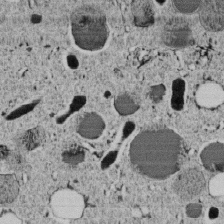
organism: C. elegans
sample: C. elegans embryo early stage